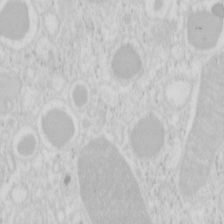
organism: Mouse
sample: Pancreas